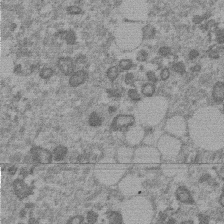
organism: Mouse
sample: Dividing mouse embryo 1 cell stage